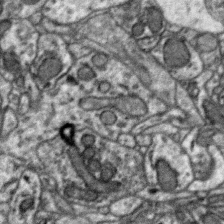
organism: Zebra finch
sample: Brain